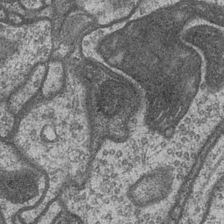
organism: Drosophila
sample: Optic medulla